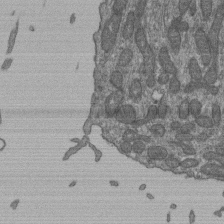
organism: Human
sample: Retinal organoid Rod and Cone cells